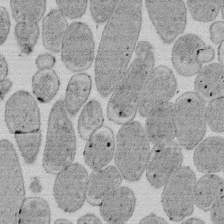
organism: E. coli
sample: Bacterial nucleoid